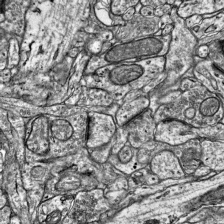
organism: Mouse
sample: Visual Cortex